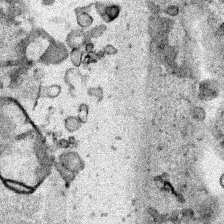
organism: Human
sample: Mitochondria in HCT116 cells